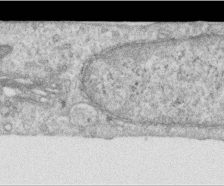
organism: Human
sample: Centriole in RPE cells